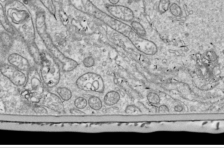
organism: Drosophila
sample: Cell division; meiosis; drosophila spermatocytes